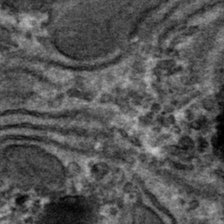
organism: Mouse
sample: Mouse hepatocytes